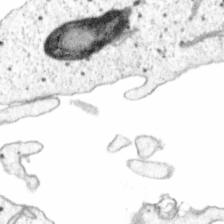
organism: Human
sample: HeLa cells